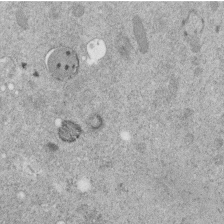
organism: C. elegans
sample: C. elegans embryo early stage